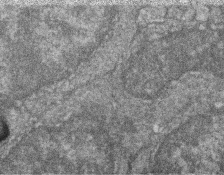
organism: Zebrafish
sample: Cilia; retinal pigment epithelium